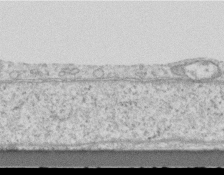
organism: Mouse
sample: Centriole in ependymal cells